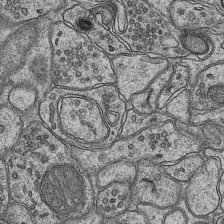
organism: Mouse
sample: CA1 Hippocampus